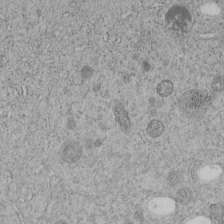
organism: C. elegans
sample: C. elegans embryo early stage